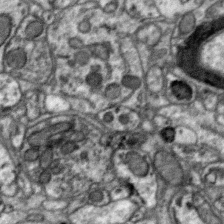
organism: Zebra finch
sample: Brain